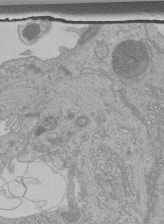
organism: Human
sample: Retinal organoid Rod and Cone cells